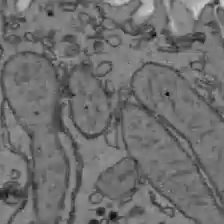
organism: C57BL Mouse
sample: Liver